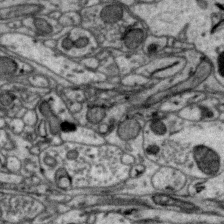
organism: Zebra finch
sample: Brain